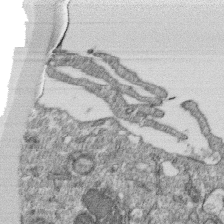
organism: African green monkey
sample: Vero E6 cells infected with SARS-CoV-2